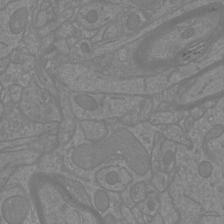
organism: Mouse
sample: Cortical neurons